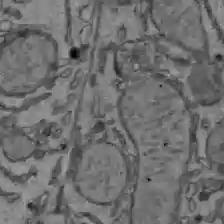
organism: C57BL Mouse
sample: Liver